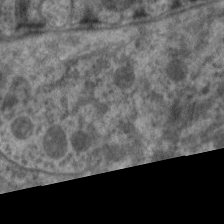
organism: C. elegans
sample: Pharynx